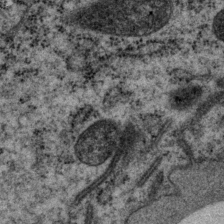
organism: P. pacificus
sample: Pharynx